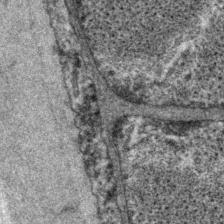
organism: P. pacificus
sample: Pharynx